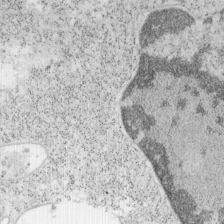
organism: Mouse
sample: OT-I killer T cells with ID8 ovarian cancer cells